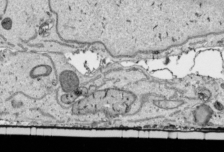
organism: Human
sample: Mitochondria in HCT116 cells